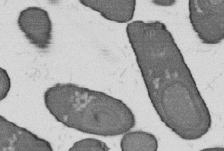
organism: B. subtilis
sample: Bacterial spore